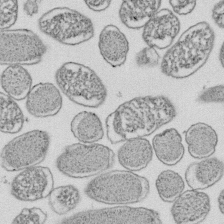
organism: E. coli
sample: Bacterial nucleoid